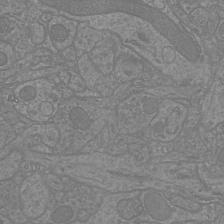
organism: Mouse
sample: Cortical neurons